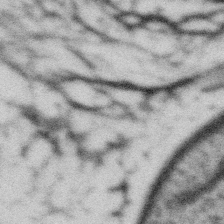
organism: Gemmata obscuriglobus